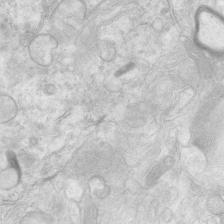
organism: Human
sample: Neocortex